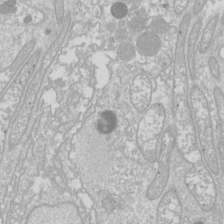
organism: Drosophila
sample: Cell division; meiosis; drosophila spermatocytes